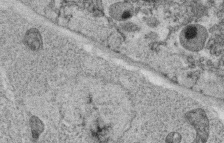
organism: C. elegans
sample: C. elegans oocyte; sperm cells